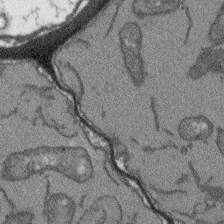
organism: Arabidopsis thaliana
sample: Root tip